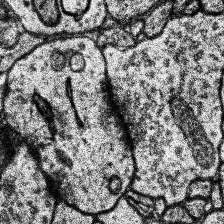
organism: Human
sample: Temporal Lobe